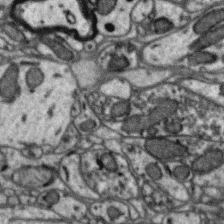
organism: Zebra finch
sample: Brain